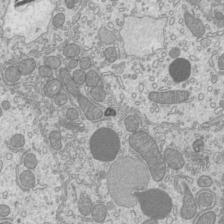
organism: Mouse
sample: Cilia; mouse epididymis